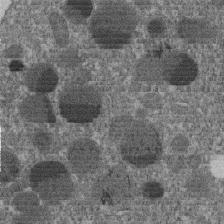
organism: C. elegans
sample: C. elegans embryo early stage